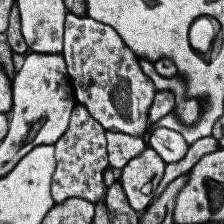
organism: Human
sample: Temporal Lobe